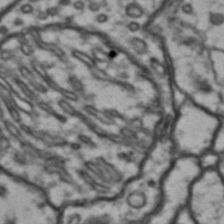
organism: Drosophila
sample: Brain